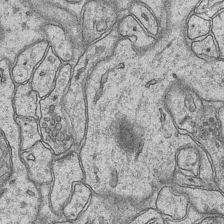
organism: Mouse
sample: CA1 Hippocampus